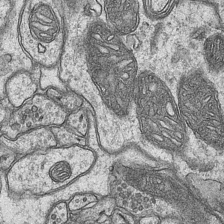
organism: Mouse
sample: CA1 Hippocampus